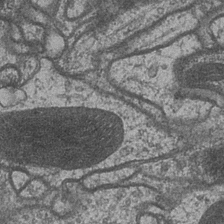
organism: Drosophila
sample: Optic medulla